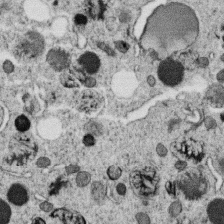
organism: C. elegans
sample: C. elegans oocyte; sperm cells